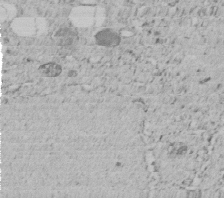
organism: C. elegans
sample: C. elegans embryo early stage